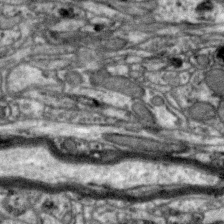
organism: Zebra finch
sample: Brain